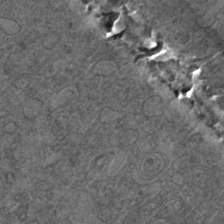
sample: Trachea